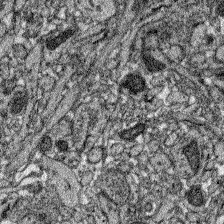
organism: Zebrafish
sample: Larval olfactory bulb